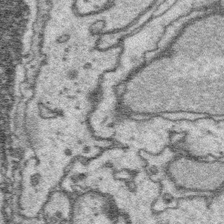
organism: Platynereis dumerilii